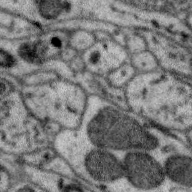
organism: Zebra finch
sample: Brain